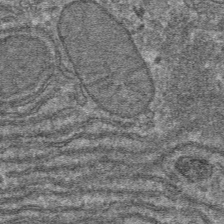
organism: Mouse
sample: Mouse hepatocytes